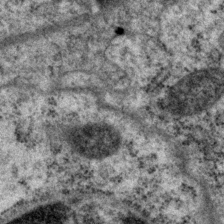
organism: P. pacificus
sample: Pharynx